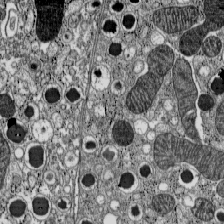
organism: C57BL Mouse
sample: Pancreatic islet